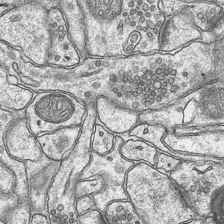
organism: Mouse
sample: CA1 Hippocampus